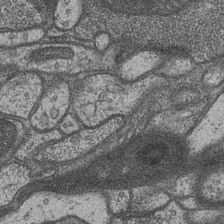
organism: Drosophila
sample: Optic medulla